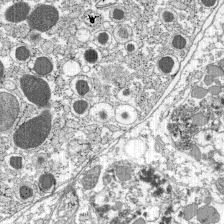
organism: C57BL Mouse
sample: Pancreatic islet